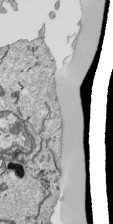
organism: Human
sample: Mitochondria in HCT116 cells